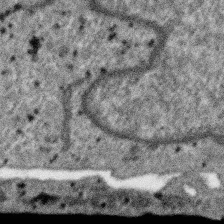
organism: Human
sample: Lung epithelial cells infected with SARS-CoV-2